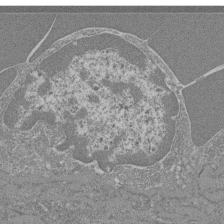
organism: Mouse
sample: Glomerulus